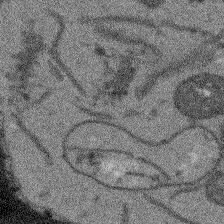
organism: Arabidopsis thaliana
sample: Root tip